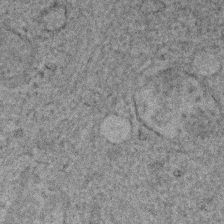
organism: Human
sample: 1205lu cells